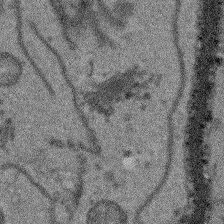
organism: Arabidopsis thaliana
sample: Root tip